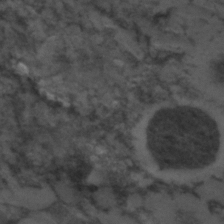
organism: C. elegans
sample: C. elegans embryo